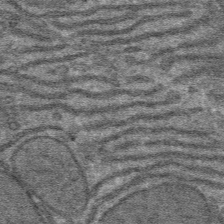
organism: Mouse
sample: Mouse hepatocytes